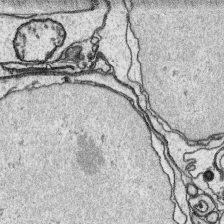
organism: Platynereis dumerilii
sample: Parapodia